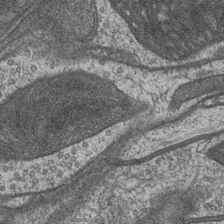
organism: Drosophila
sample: Optic medulla